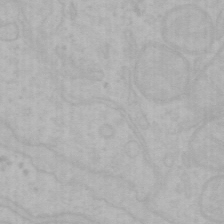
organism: Mouse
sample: Choroid plexus